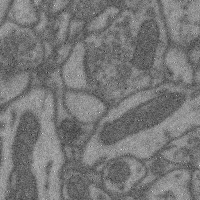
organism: Mouse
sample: Cerebral cortex